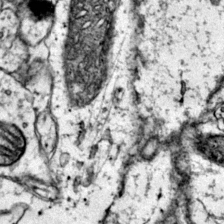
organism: Mouse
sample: Primary visual cortex